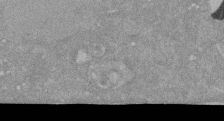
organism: Mouse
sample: ED-1 cell nuclei; centrioles